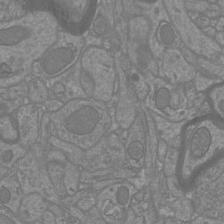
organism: Mouse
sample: Cortical neurons